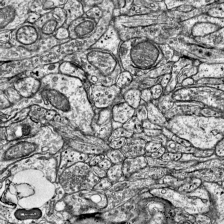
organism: Mouse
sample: Visual Cortex